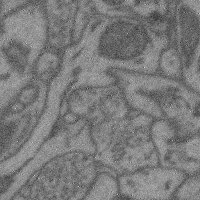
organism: Mouse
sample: Cerebral cortex